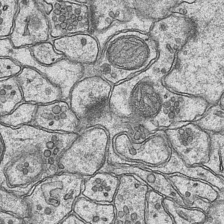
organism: Mouse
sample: CA1 Hippocampus